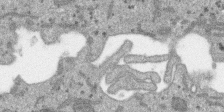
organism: Human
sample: Lung epithelial cells infected with SARS-CoV-2